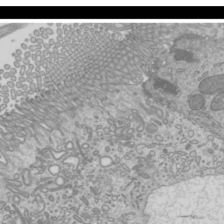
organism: Mouse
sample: Cilia; mouse epididymis